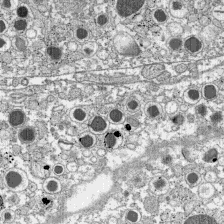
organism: C57BL Mouse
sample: Pancreatic islet